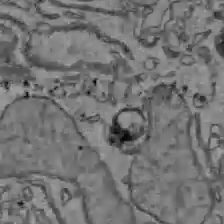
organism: C57BL Mouse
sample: Liver